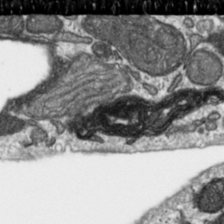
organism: Toxoplasma gondii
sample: Parasites in a vacuole inside a host cell